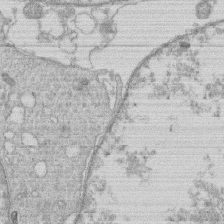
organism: Human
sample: Macrophage cells